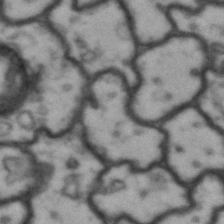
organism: Drosophila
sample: Brain